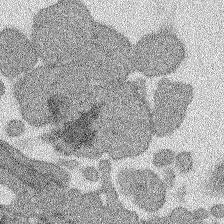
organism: Human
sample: HeLa cells